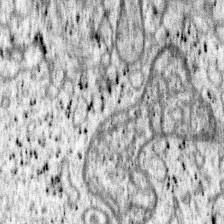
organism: Human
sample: HeLa cells